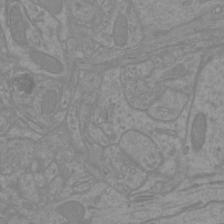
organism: Mouse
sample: Cortical neurons